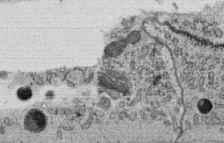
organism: C. elegans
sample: C. elegans oocyte; sperm cells